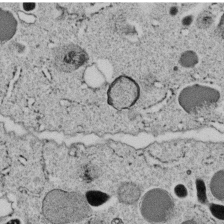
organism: C. elegans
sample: C. elegans embryo early stage